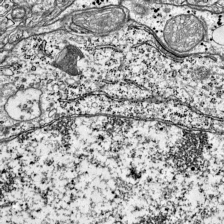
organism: Mouse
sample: Visual Cortex